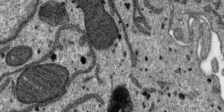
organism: Human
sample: Lung epithelial cells, uninfected (mock) control